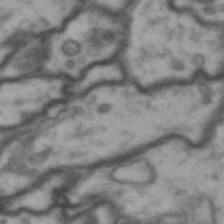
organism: Drosophila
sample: Brain